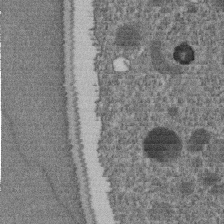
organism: C. elegans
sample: C. elegans embryo early stage